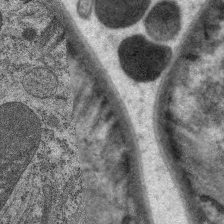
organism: C. elegans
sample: Pharynx